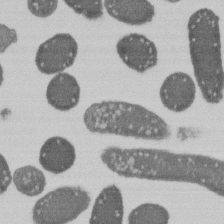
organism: E. coli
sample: Bacterial nucleoid